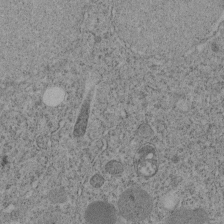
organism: C. elegans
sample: C. elegans embryo early stage